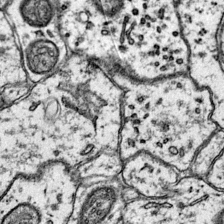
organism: Mouse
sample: Primary visual cortex